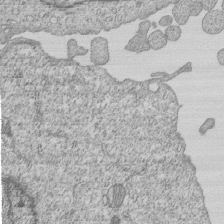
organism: Human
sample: MDA-MB-231 cells